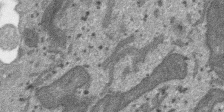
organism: Human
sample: Lung epithelial cells infected with SARS-CoV-2